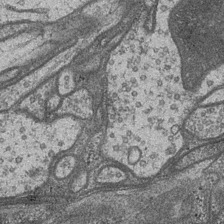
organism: Drosophila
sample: Optic medulla